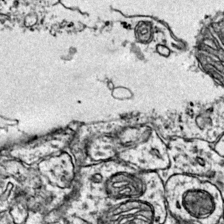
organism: Mouse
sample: Primary visual cortex